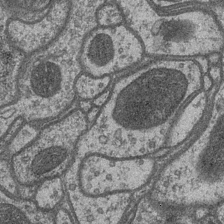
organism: Drosophila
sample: Optic medulla